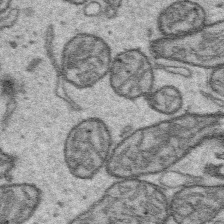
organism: Platynereis dumerilii